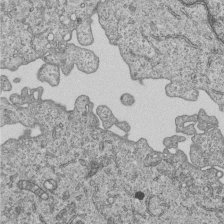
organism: Human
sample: MDA-MB-231 cells